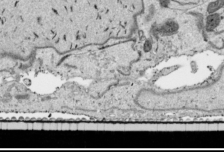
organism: Human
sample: Mitochondria in HCT116 cells